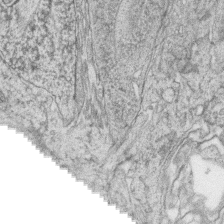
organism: Zebrafish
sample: synaptic ribbons in rod cells and cone cells